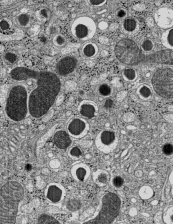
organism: C57BL Mouse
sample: Pancreatic islet